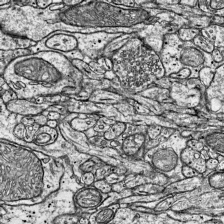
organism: Mouse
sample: Visual Cortex